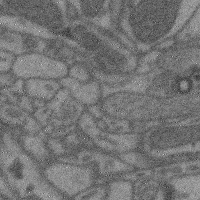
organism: Mouse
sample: Cerebral cortex